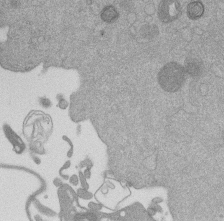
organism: Mouse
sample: Dividing mouse embryo 1 cell stage